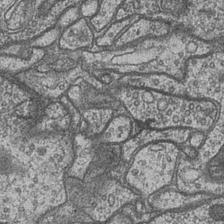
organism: Drosophila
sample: Optic medulla